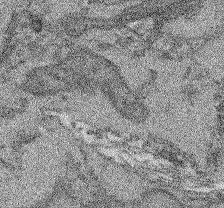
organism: Human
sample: HeLa cells